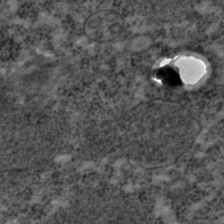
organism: C. elegans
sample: C. elegans embryo